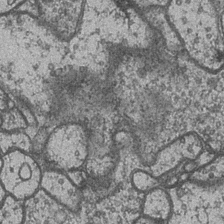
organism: Drosophila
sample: Optic medulla